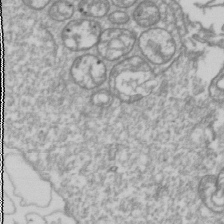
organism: Drosophila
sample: Cell division; meiosis; drosophila spermatocytes